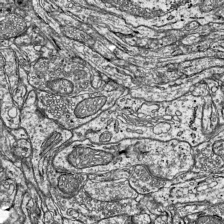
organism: Mouse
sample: Visual Cortex